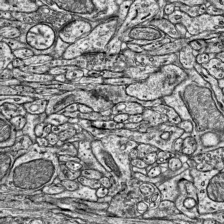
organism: Mouse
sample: Visual Cortex